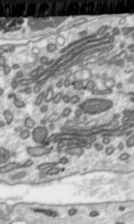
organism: Toxoplasma gondii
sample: Parasites in a vacuole inside a host cell